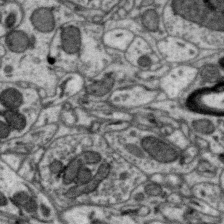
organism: Zebra finch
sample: Brain